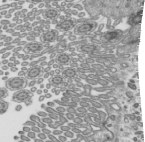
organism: Mouse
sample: Mouse epididymis efferent ductule cilia